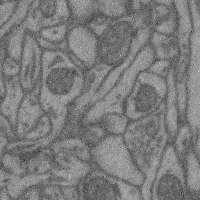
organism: Mouse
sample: Cerebral cortex